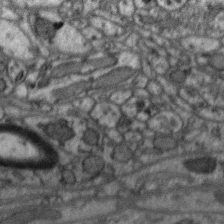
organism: Zebra finch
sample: Brain